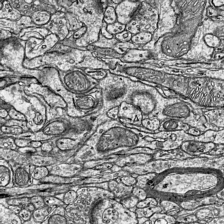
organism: Mouse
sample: Visual Cortex